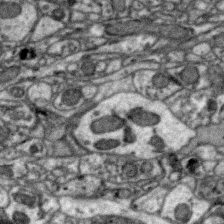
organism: Zebra finch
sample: Brain